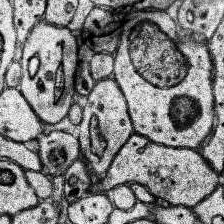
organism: Human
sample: Temporal Lobe